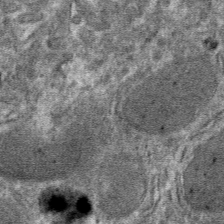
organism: Mouse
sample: Mouse hepatocytes